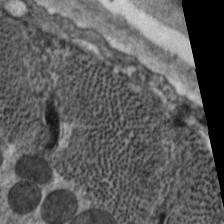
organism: C. elegans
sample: Pharynx